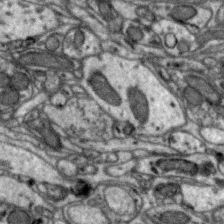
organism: Zebra finch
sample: Brain